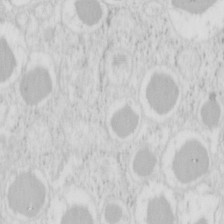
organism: Mouse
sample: Pancreas